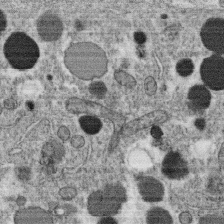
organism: C. elegans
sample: C. elegans oocyte; sperm cells